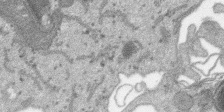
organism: Human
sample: Lung epithelial cells infected with SARS-CoV-2